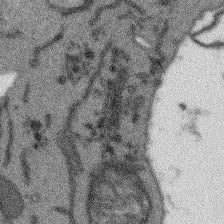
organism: Arabidopsis thaliana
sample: Root tip